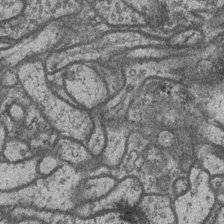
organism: Drosophila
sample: Optic medulla